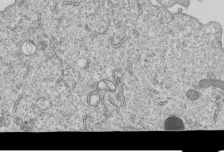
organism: Human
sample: MDA-MB-231 cells